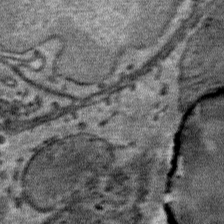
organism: Mouse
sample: Mouse Salivary gland